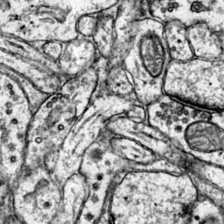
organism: Mouse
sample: Primary visual cortex